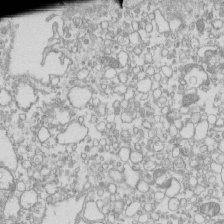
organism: Mouse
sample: Macrophages